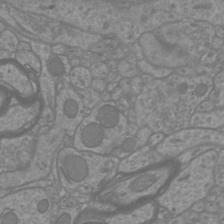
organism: Mouse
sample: Cortical neurons